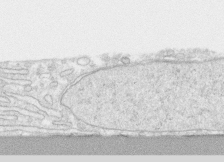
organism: Human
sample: CRL-1474